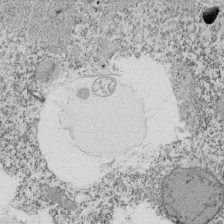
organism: Tetrahymena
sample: Cilia in tetrahymena